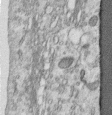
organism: Human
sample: Centriole in RPE cells